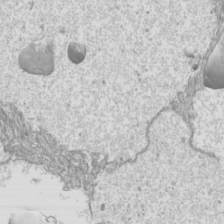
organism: Mouse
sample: Cilia; mouse epididymis